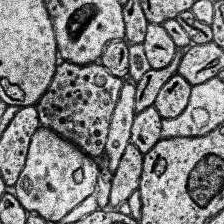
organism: Human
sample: Temporal Lobe